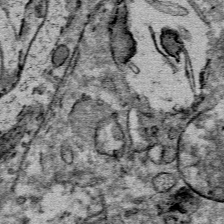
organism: Mouse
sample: Mouse Salivary gland